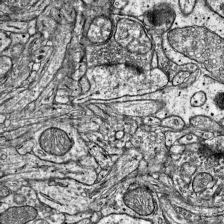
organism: Mouse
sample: Visual Cortex